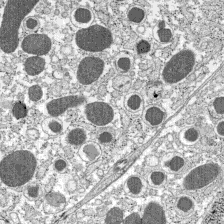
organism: C57BL Mouse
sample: Pancreatic islet